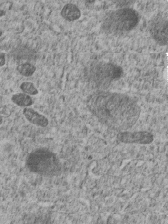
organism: C. elegans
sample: C. elegans embryo early stage